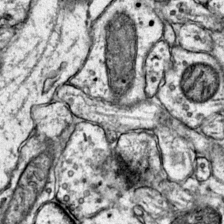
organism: Mouse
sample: Primary visual cortex